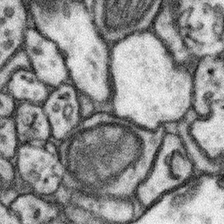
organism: Mouse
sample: Somatosensory cortex neuropil